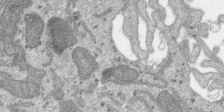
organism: Human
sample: Lung epithelial cells infected with SARS-CoV-2